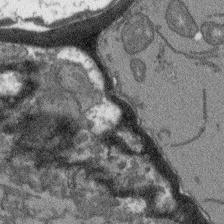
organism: Arabidopsis thaliana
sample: Root tip